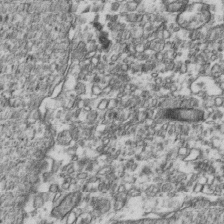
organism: Human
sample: Activated Jurkat CD4+ T cells